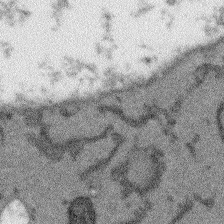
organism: Arabidopsis thaliana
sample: Root tip